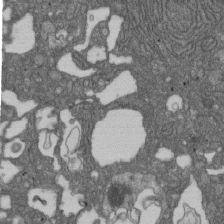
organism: Drosophila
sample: Nephrocyte